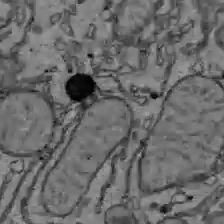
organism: C57BL Mouse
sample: Liver